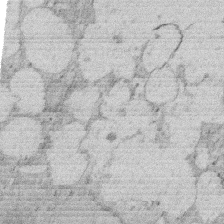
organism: Rat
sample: Salivary granule